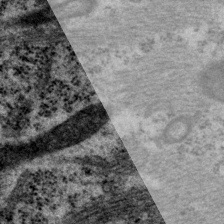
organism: P. pacificus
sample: Pharynx